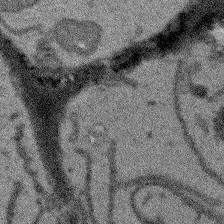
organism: Arabidopsis thaliana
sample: Root tip